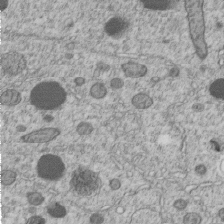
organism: C. elegans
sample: C. elegans embryo early stage